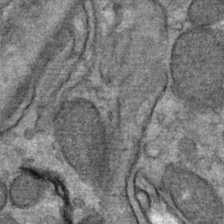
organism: Mouse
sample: Mouse Salivary gland